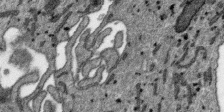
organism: Human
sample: Lung epithelial cells, uninfected (mock) control